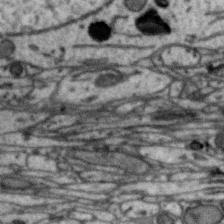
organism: Zebra finch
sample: Brain